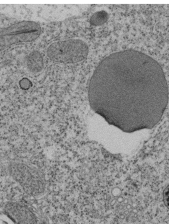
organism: Tetrahymena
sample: Cilia in tetrahymena